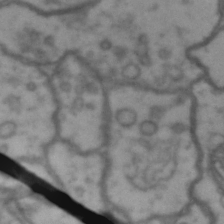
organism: Drosophila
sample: Brain